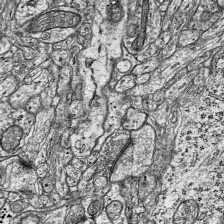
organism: Mouse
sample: Visual Cortex